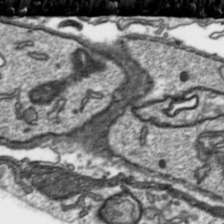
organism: Toxoplasma gondii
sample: Parasites in a vacuole inside a host cell